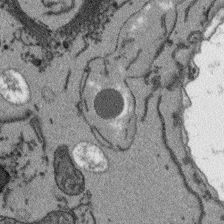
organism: Arabidopsis thaliana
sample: Root tip